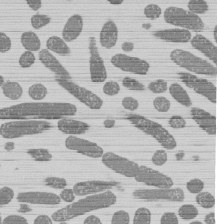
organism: E. coli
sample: Bacterial nucleoid